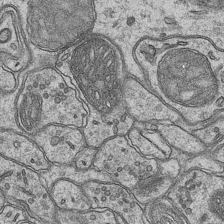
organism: Mouse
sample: CA1 Hippocampus